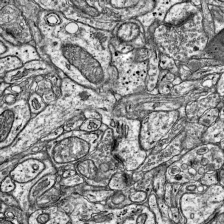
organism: Mouse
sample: Visual Cortex